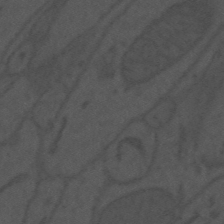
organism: Mouse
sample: Suprachiasmatic nucleus